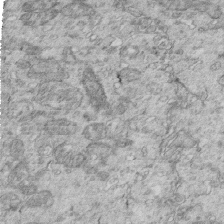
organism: Mouse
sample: Multiciliated cells